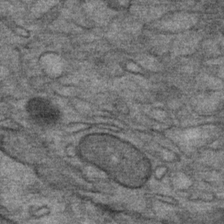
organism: Mouse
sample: Mouse Salivary gland